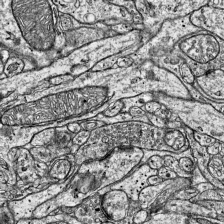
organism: Mouse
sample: Visual Cortex